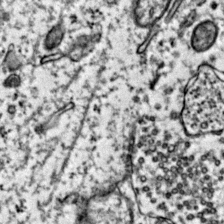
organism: Mouse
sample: Primary visual cortex